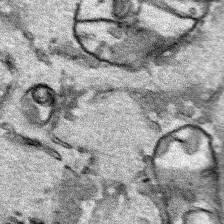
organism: Human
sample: Mitochondria in HCT116 cells